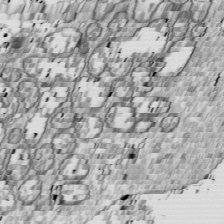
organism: Drosophila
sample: Cell division; meiosis; drosophila spermatocytes